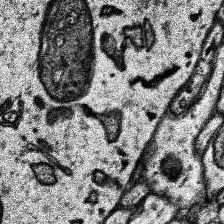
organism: Human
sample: Temporal Lobe